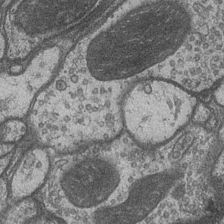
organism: Drosophila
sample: Optic medulla